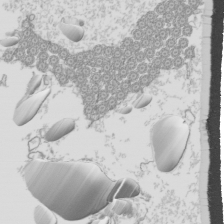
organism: Mouse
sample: Cilia; mouse epididymis